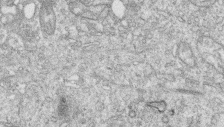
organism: Human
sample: HeLa cell HIV synapse